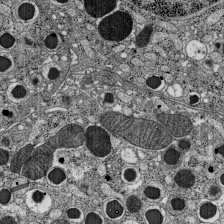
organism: C57BL Mouse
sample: Pancreatic islet